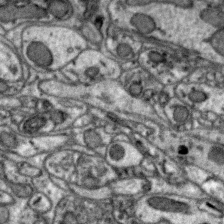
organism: Zebra finch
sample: Brain